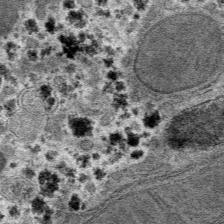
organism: Mouse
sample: Mouse hepatocytes